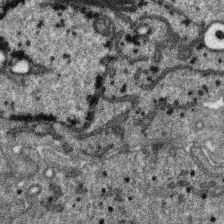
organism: Human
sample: Lung epithelial cells infected with SARS-CoV-2